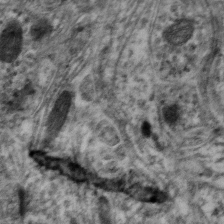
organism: Mouse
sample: Neocortex